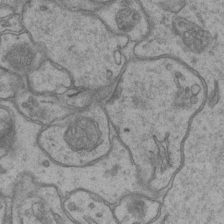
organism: Mouse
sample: CA1 Hippocampus